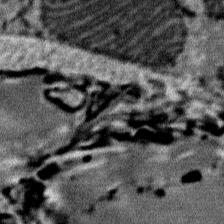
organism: Mouse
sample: Mouse Salivary gland